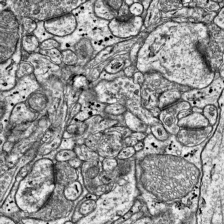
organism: Mouse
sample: Visual Cortex